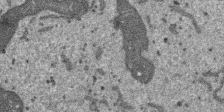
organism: Human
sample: Lung epithelial cells infected with SARS-CoV-2